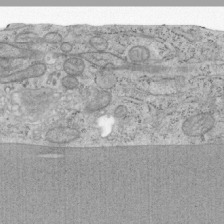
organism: Human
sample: HeLa cells